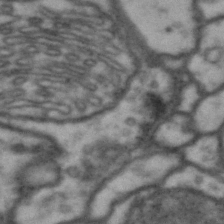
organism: Drosophila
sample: Brain